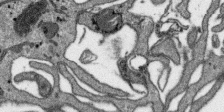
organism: Human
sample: Lung epithelial cells, uninfected (mock) control